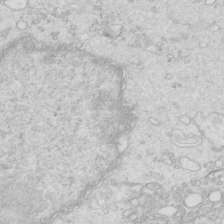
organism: Mouse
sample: Multiciliated cells